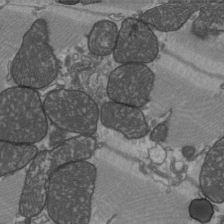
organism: C57BL Mouse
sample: Heart